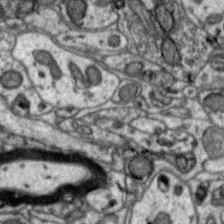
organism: Zebra finch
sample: Brain